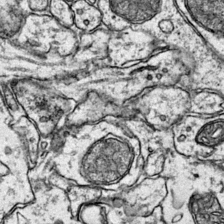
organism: Mouse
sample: Primary visual cortex